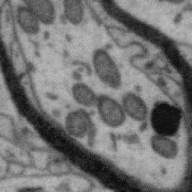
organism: Zebra finch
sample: Brain